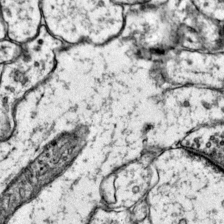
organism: Mouse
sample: Primary visual cortex